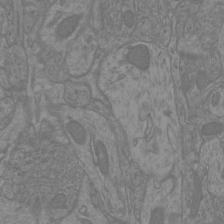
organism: Mouse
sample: Cortical neurons